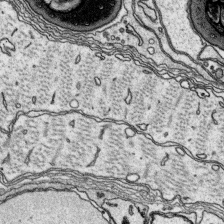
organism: Platynereis dumerilii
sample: Parapodia